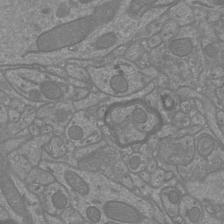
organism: Mouse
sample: Cortical neurons